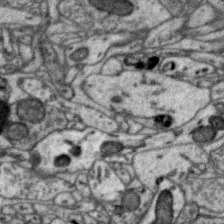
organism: Zebra finch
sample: Brain